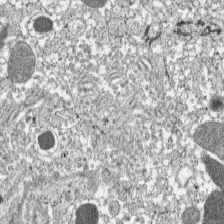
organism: C57BL Mouse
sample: Pancreatic islet